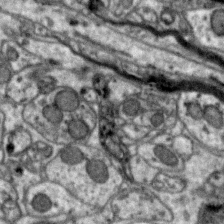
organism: Zebra finch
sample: Brain